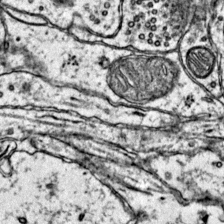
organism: Mouse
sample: Primary visual cortex